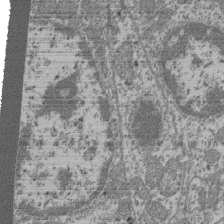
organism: Mouse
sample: Glomerulus